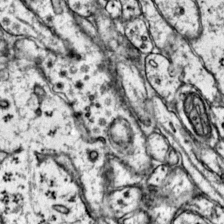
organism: Mouse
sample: Primary visual cortex